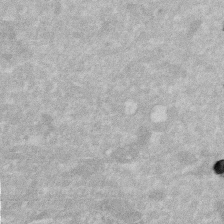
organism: Human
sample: HIV infected U937 cells